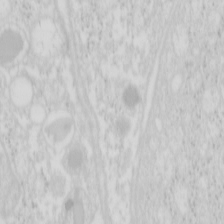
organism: Mouse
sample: Pancreas